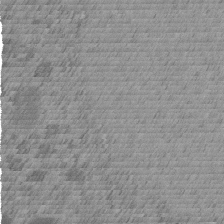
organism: C. elegans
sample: C. elegans embryo early stage